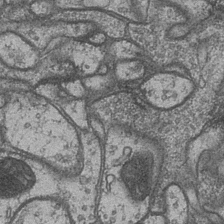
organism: Drosophila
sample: Optic medulla